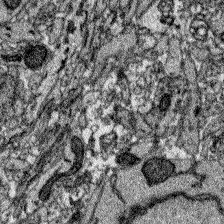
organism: Zebrafish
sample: Larval olfactory bulb